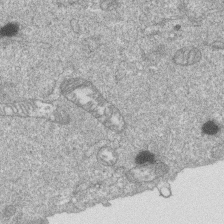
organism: Human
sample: HeLa cell HIV synapse